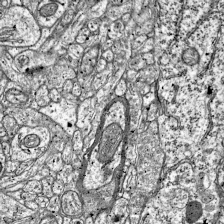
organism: Mouse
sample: Visual Cortex